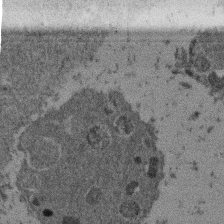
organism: Mouse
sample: Dividing mouse embryo 1 cell stage